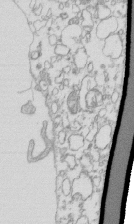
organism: Mouse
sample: Macrophages